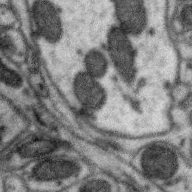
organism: Zebra finch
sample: Brain